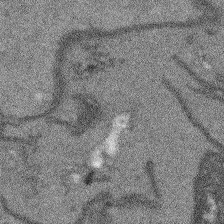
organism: Arabidopsis thaliana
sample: Root tip